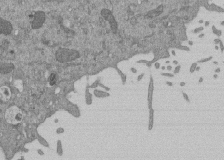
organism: Mouse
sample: ED-1 cell nuclei; centrioles